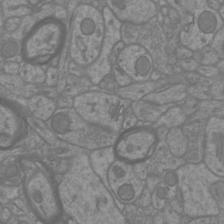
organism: Mouse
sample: Cortical neurons